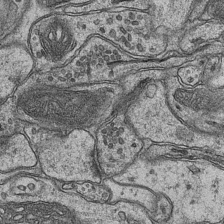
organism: Mouse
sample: CA1 Hippocampus